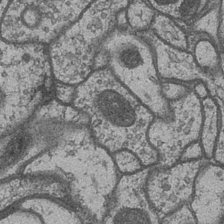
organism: Drosophila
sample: Optic medulla